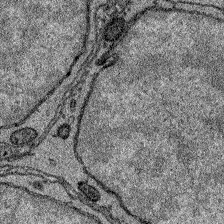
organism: Zebrafish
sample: Larval olfactory bulb